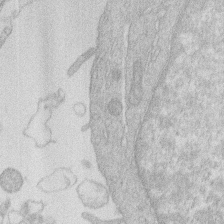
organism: Human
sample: Macrophage cells